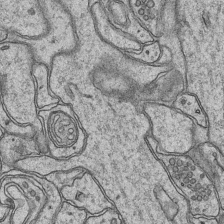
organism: Mouse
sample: CA1 Hippocampus